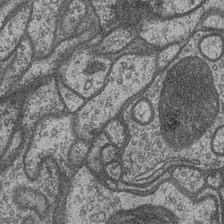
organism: Drosophila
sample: Optic medulla